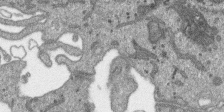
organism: Human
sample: Lung epithelial cells infected with SARS-CoV-2